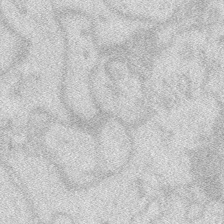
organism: Zebrafish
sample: Macrophage